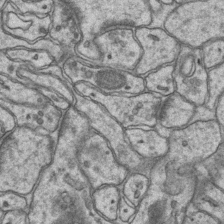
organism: Mouse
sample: CA1 Hippocampus